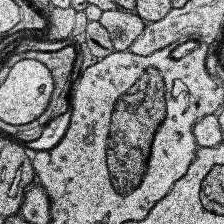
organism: Human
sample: Temporal Lobe